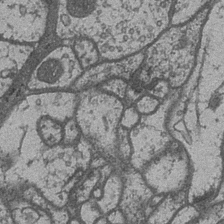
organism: Drosophila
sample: Optic medulla